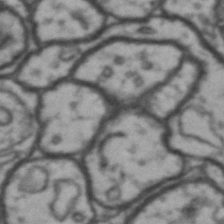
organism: Drosophila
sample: Brain